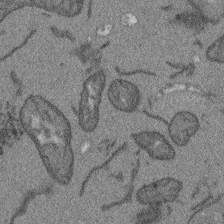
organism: Arabidopsis thaliana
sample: Root tip